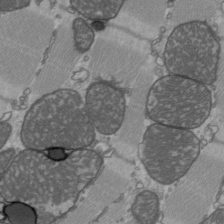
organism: C57BL Mouse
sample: Heart